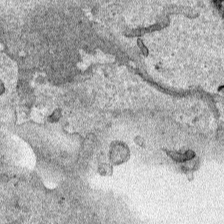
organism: Human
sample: Mitochondria in HCT116 cells